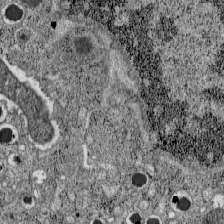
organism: C57BL Mouse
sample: Pancreatic islet